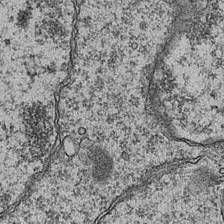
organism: Mouse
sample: CA1 Hippocampus